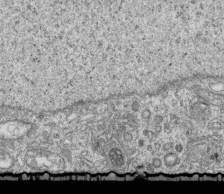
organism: Human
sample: HeLa cell HIV synapse